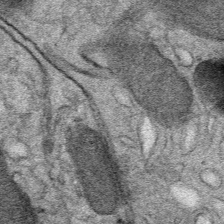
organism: Mouse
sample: Mouse Salivary gland